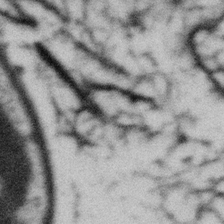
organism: Gemmata obscuriglobus